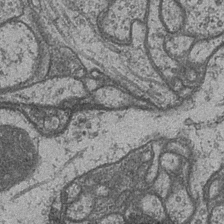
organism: Drosophila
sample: Optic medulla